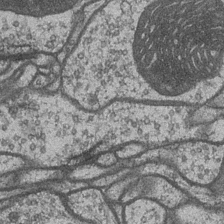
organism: Drosophila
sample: Optic medulla